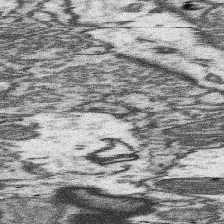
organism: Mouse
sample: Somatosensory cortex neuropil